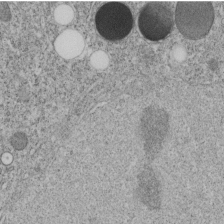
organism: C. elegans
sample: C. elegans embryo early stage